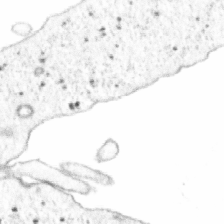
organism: Human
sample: HeLa cells